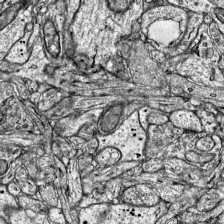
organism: Mouse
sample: Visual Cortex